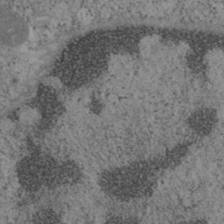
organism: Mouse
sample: OT-I killer T cells with ID8 ovarian cancer cells